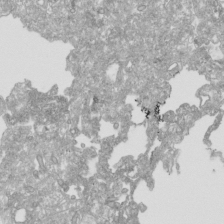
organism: Human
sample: Mitochondria in HCT116 cells